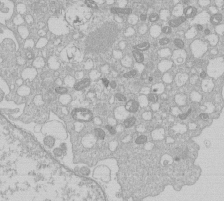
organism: Human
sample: Macrophage cells